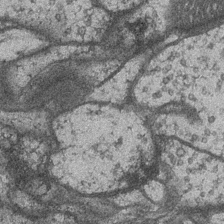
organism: Drosophila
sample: Optic medulla